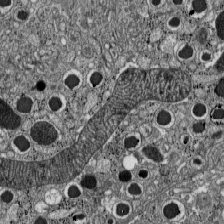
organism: C57BL Mouse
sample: Pancreatic islet